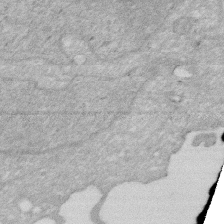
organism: Human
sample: HIV infected U937 cells